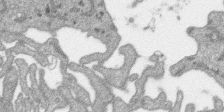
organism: Human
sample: Lung epithelial cells infected with SARS-CoV-2